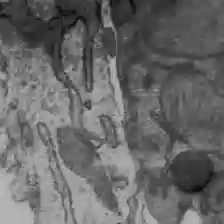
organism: C57BL Mouse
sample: Liver